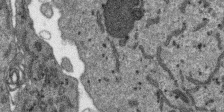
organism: Human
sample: Lung epithelial cells infected with SARS-CoV-2